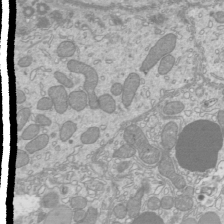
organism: Mouse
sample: Cilia; mouse epididymis